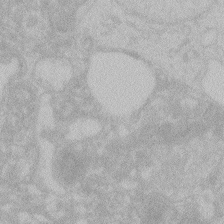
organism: Zebrafish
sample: Macrophage infected with Toxoplasma gondii